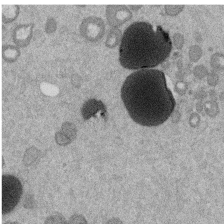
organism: Mouse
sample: Dividing mouse embryo 1 cell stage